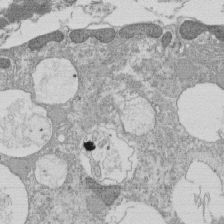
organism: Tetrahymena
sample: Cilia in tetrahymena